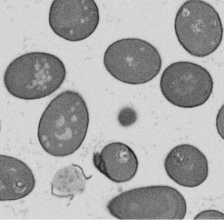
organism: B. subtilis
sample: Bacterial spore